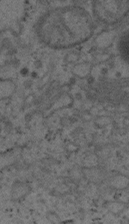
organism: Human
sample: HeLa cells